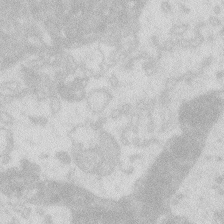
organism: Zebrafish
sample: Macrophage